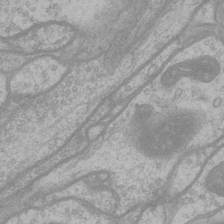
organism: Drosophila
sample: Optic medulla